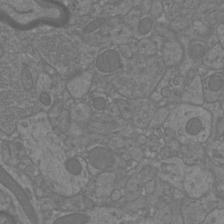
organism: Mouse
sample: Cortical neurons